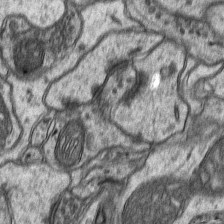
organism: Mouse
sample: CA1 Hippocampus